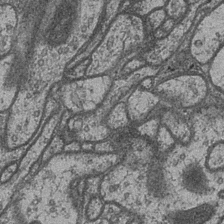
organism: Drosophila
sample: Optic medulla